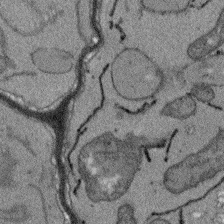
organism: Arabidopsis thaliana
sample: Root tip